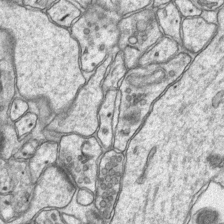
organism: Mouse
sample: CA1 Hippocampus